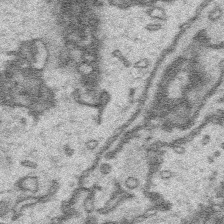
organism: Platynereis dumerilii